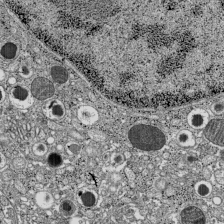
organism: C57BL Mouse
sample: Pancreatic islet